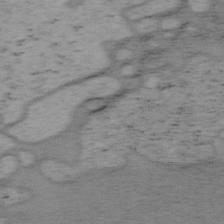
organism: Mouse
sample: OT-I killer T cells with ID8 ovarian cancer cells